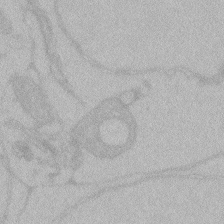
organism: Zebrafish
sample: Macrophage infected with Toxoplasma gondii